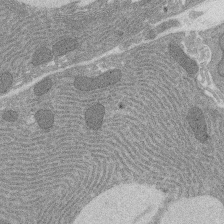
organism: Rat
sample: Salivary granule